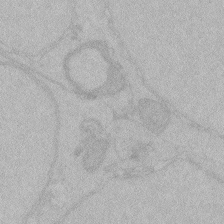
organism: Zebrafish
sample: Macrophage infected with Toxoplasma gondii